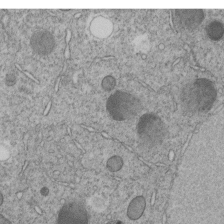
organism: C. elegans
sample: C. elegans embryo early stage